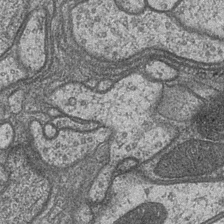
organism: Drosophila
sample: Optic medulla